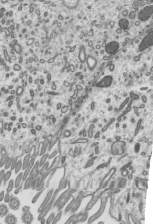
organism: Mouse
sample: Mouse epididymis efferent ductule cilia